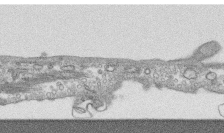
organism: Human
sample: CRL-1474